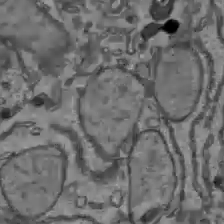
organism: C57BL Mouse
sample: Liver